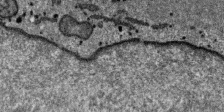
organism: Human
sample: Lung epithelial cells, uninfected (mock) control